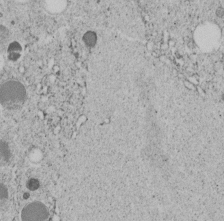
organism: C. elegans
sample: C. elegans embryo early stage